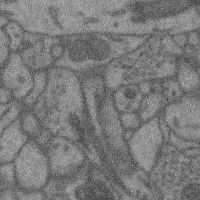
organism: Mouse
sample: Cerebral cortex